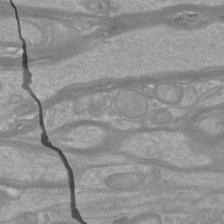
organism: Mouse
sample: Cortical neurons